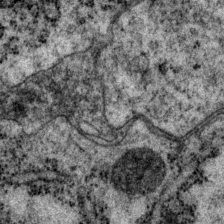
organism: P. pacificus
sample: Pharynx